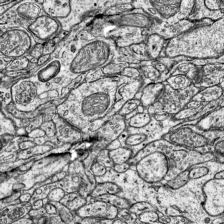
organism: Mouse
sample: Visual Cortex